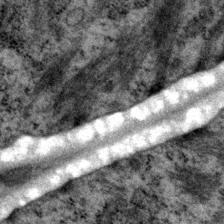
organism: P. pacificus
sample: Pharynx